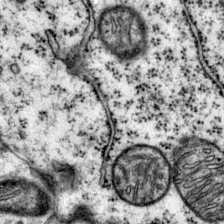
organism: Mouse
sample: Primary visual cortex